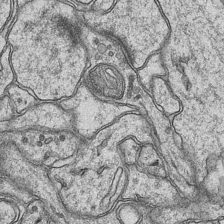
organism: Mouse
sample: CA1 Hippocampus